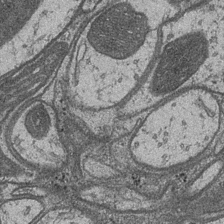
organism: Drosophila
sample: Optic medulla